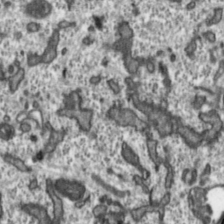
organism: Toxoplasma gondii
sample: Parasites in a vacuole inside a host cell